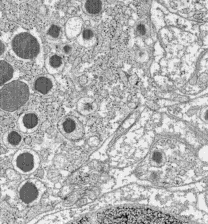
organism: C57BL Mouse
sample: Pancreatic islet